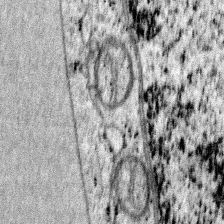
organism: Human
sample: HeLa cells